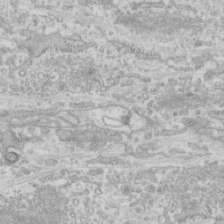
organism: Human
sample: CRL-1474